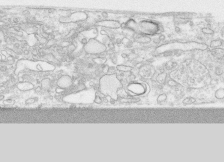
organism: Human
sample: CRL-1474